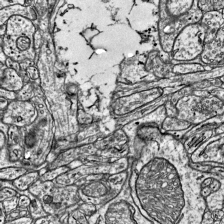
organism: Mouse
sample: Visual Cortex